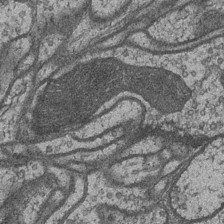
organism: Drosophila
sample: Optic medulla